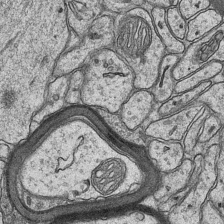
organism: Mouse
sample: CA1 Hippocampus